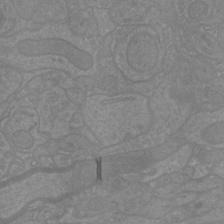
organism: Mouse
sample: Cortical neurons